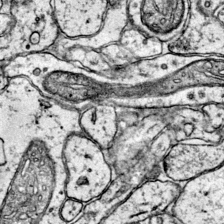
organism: Mouse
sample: Primary visual cortex